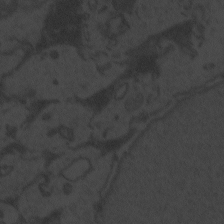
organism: Zebrafish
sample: Macrophage infected with Toxoplasma gondii